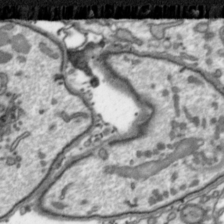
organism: Toxoplasma gondii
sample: Parasites in a vacuole inside a host cell